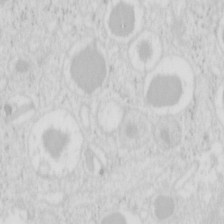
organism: Mouse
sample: Pancreas